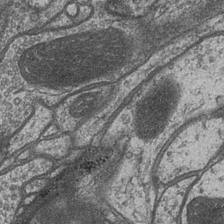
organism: Drosophila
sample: Optic medulla